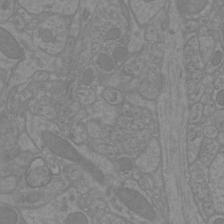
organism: Mouse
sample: Cortical neurons